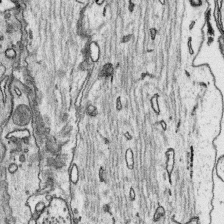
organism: Platynereis dumerilii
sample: Parapodia